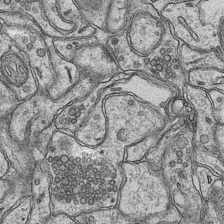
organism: Mouse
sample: CA1 Hippocampus